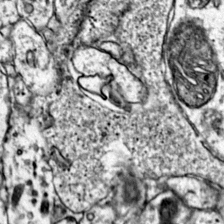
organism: Mouse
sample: Primary visual cortex